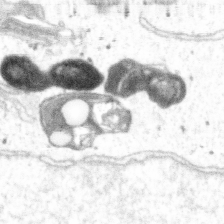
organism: Human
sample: HeLa cells